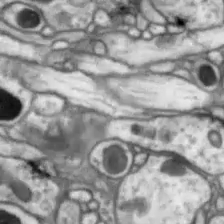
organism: Drosophila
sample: Optic lobe